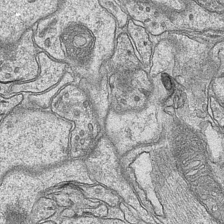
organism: Mouse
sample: CA1 Hippocampus